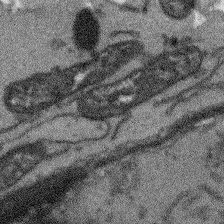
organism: Arabidopsis thaliana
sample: Root tip